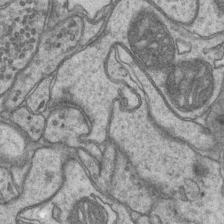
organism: Mouse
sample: CA1 Hippocampus